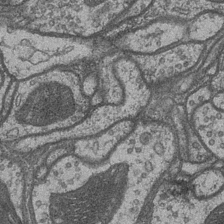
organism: Drosophila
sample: Optic medulla